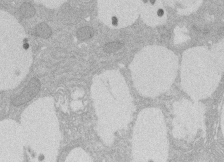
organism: Rat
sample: Salivary granule